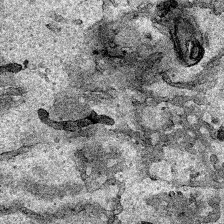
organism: Human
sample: Mitochondria in HCT116 cells